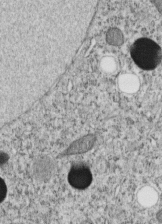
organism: C. elegans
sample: C. elegans embryo early stage